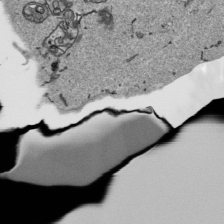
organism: Human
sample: Mitochondria in HCT116 cells